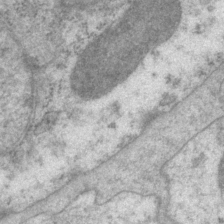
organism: P. pacificus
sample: Pharynx